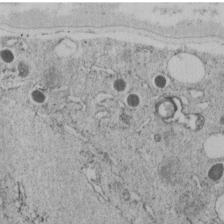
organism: C. elegans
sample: C. elegans embryo early stage